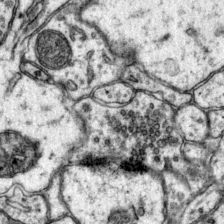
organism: Mouse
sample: Primary visual cortex